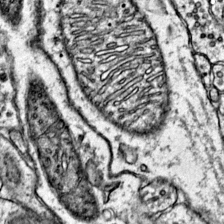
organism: Mouse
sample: Primary visual cortex